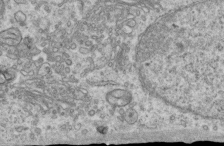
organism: Human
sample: Centriole in RPE cells